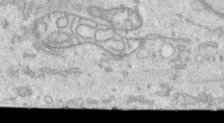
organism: Human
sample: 1205lu cells